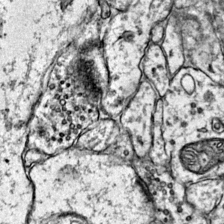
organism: Mouse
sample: Primary visual cortex